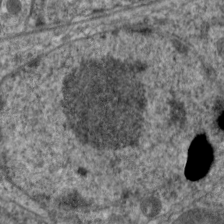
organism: C. elegans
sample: Pharynx